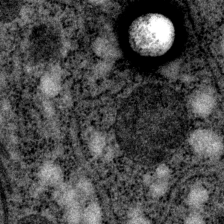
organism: P. pacificus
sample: Pharynx